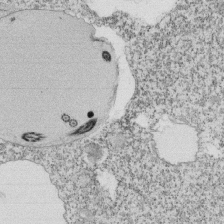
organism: Tetrahymena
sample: Cilia in tetrahymena